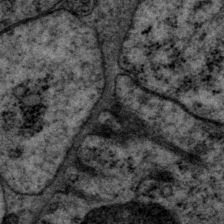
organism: P. pacificus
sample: Pharynx